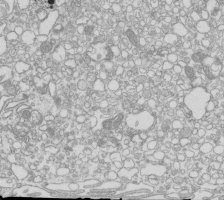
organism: Mouse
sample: Macrophages